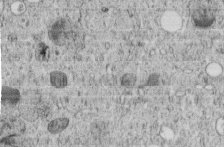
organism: C. elegans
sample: C. elegans embryo early stage